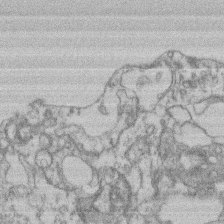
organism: Mouse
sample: T cell stromal cell synapse